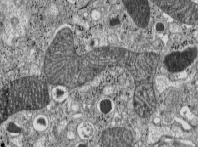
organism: C57BL Mouse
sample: Pancreatic islet